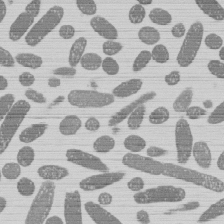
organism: E. coli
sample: Bacterial nucleoid